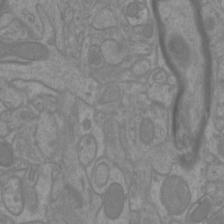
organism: Mouse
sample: Cortical neurons